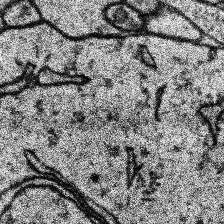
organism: Human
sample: Temporal Lobe